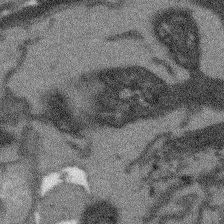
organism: Arabidopsis thaliana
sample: Root tip